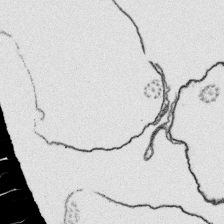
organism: Platynereis dumerilii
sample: Parapodia